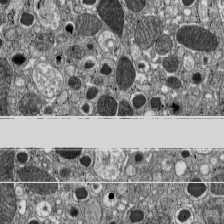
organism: C57BL Mouse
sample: Pancreatic islet